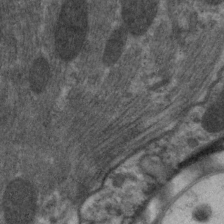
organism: C. elegans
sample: Pharynx